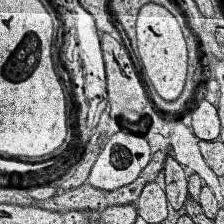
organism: Human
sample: Temporal Lobe